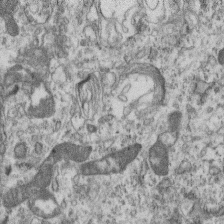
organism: Mouse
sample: Centriole in ependymal cells